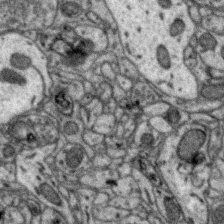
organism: Zebra finch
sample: Brain